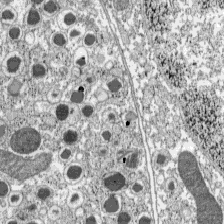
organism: C57BL Mouse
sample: Pancreatic islet